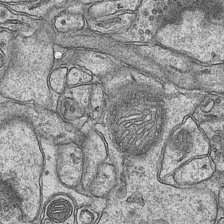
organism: Mouse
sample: CA1 Hippocampus